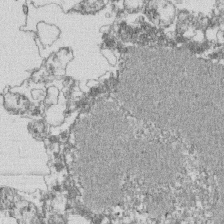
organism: Human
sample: HeLa cell HIV synapse